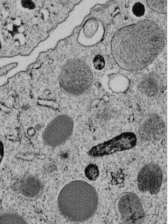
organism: C. elegans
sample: C. elegans embryo early stage